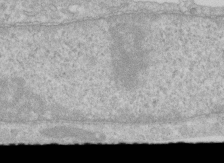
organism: Human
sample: Centriole in RPE cells